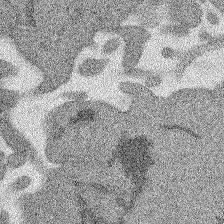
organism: Human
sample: HeLa cells